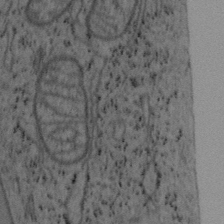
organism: Human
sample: HeLa cells